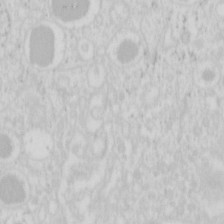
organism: Mouse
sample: Pancreas